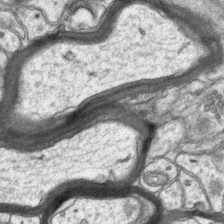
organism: Mouse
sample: CA1 Hippocampus